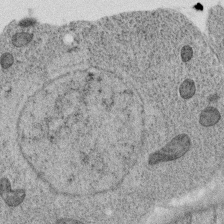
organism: C. elegans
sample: C. elegans oocyte; sperm cells